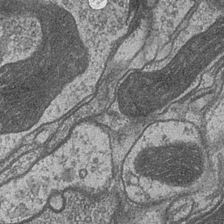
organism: Drosophila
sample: Optic medulla